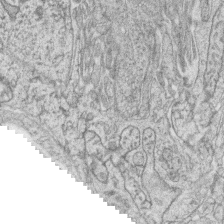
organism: Zebrafish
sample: synaptic ribbons in rod cells and cone cells